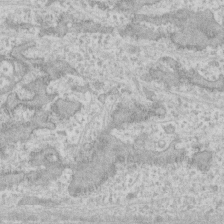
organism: Human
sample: CRL-1474